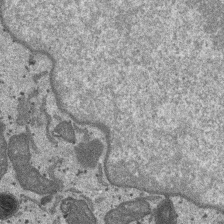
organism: Human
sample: Lung epithelial cells infected with SARS-CoV-2